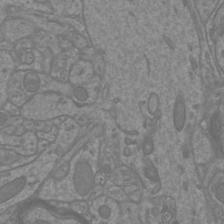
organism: Mouse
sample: Cortical neurons